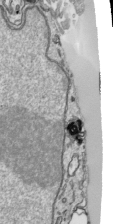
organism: Human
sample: Mitochondria in HCT116 cells